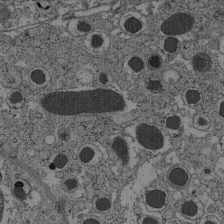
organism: C57BL Mouse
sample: Pancreatic islet